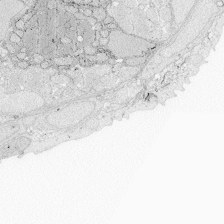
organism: Zebrafish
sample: Whole-Brain